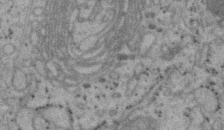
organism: Human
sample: HeLa cells